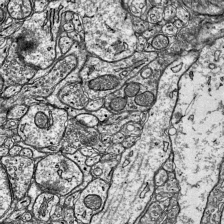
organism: Mouse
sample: Visual Cortex